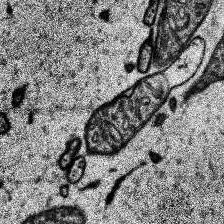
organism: Human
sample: Temporal Lobe